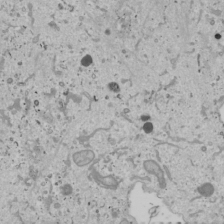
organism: Human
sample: Mitochondria in U2OS cells